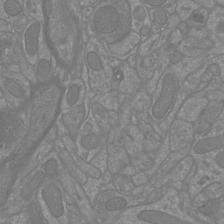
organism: Mouse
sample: Cortical neurons